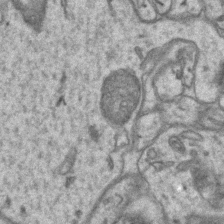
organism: Mouse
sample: CA1 Hippocampus